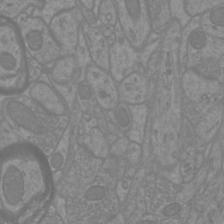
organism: Mouse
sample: Cortical neurons